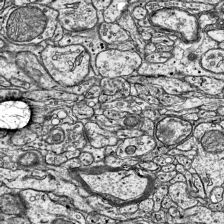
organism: Mouse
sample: Visual Cortex